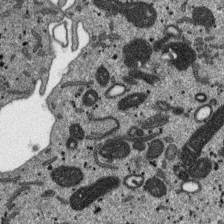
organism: Human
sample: Lung epithelial cells infected with SARS-CoV-2